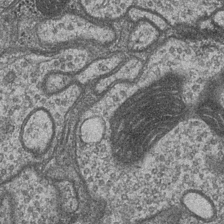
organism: Drosophila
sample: Optic medulla